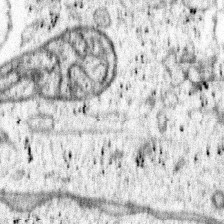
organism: Human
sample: HeLa cells